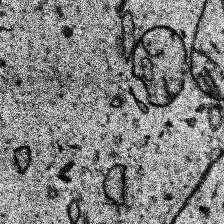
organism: Human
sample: Temporal Lobe